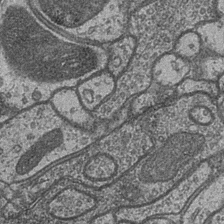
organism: Drosophila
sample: Optic medulla